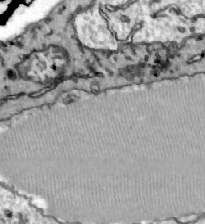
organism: Zebrafish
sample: Actinotrichia fibers